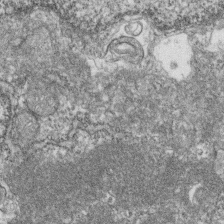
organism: Zebrafish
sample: Cilia; retinal pigment epithelium